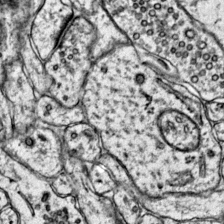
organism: Mouse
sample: Primary visual cortex